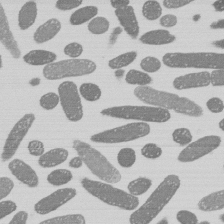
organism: E. coli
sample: Bacterial nucleoid